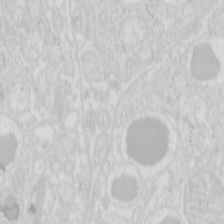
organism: Mouse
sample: Pancreas